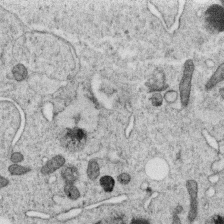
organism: C. elegans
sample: C. elegans oocyte; sperm cells